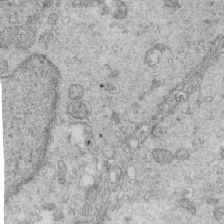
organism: Mouse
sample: Multiciliated cells